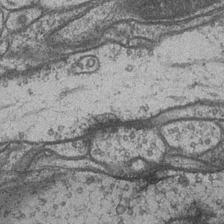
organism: Drosophila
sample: Optic medulla